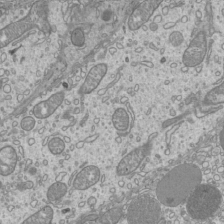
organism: Mouse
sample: Cilia; mouse epididymis